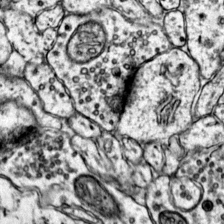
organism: Mouse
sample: Primary visual cortex